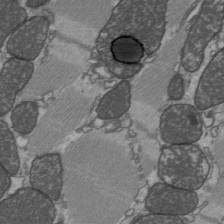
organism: C57BL Mouse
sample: Heart